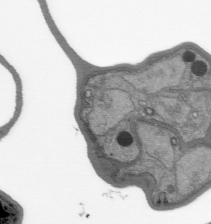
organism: Plasmodium falciparum